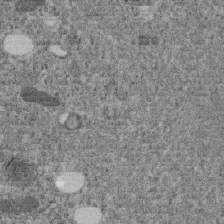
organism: C. elegans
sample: C. elegans embryo early stage